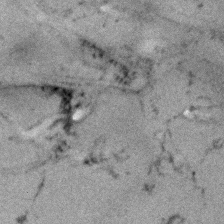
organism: Human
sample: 1205lu cells